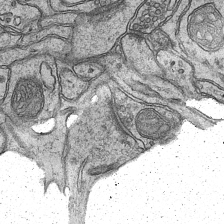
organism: Mouse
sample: CA1 Hippocampus